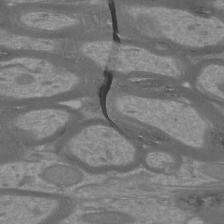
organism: Mouse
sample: Cortical neurons